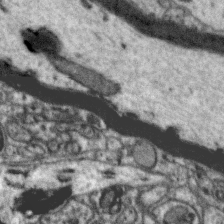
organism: Zebra finch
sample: Brain